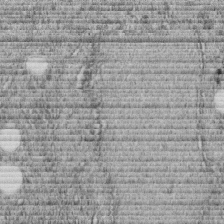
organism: C. elegans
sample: C. elegans embryo early stage